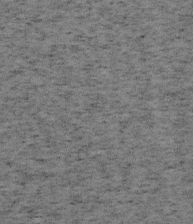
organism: Mouse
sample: OT-I killer T cells with ID8 ovarian cancer cells